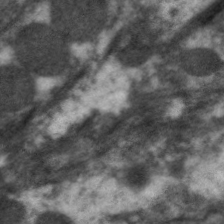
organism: C. elegans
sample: Pharynx